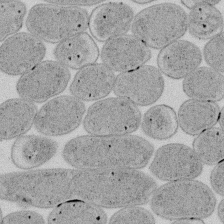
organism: E. coli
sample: Bacterial nucleoid